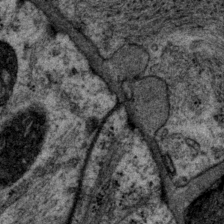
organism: P. pacificus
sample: Pharynx